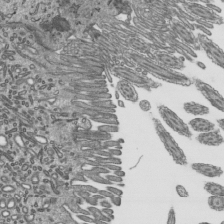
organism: Mouse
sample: Mouse epididymis efferent ductule cilia